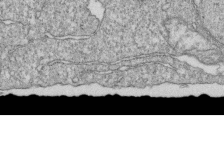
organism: Human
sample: HeLa cell HIV synapse